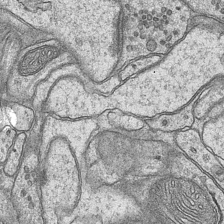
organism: Mouse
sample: CA1 Hippocampus